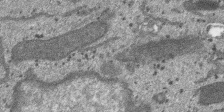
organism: Human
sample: Lung epithelial cells infected with SARS-CoV-2